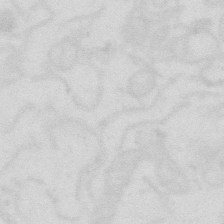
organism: Human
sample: HeLa cells